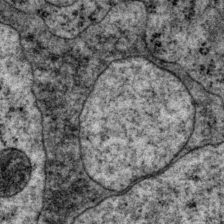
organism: P. pacificus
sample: Pharynx